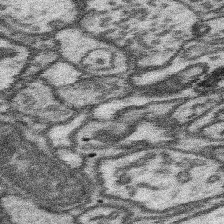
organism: Mouse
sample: Somatosensory cortex neuropil